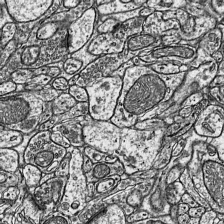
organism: Mouse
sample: Visual Cortex